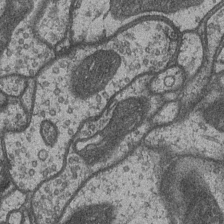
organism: Drosophila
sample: Optic medulla